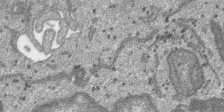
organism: Human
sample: Lung epithelial cells infected with SARS-CoV-2